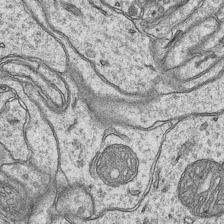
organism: Mouse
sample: CA1 Hippocampus